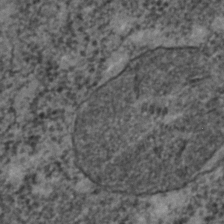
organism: C. elegans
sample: C. elegans embryo